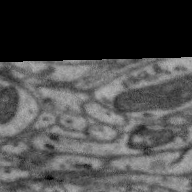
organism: Zebra finch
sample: Brain